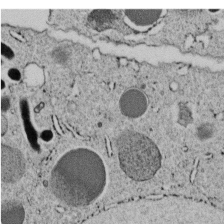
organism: C. elegans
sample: C. elegans embryo early stage